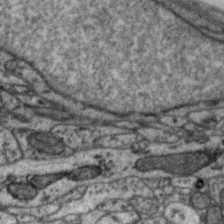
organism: Zebra finch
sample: Brain